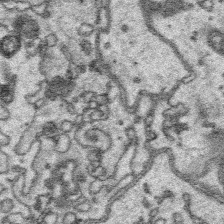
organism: Platynereis dumerilii